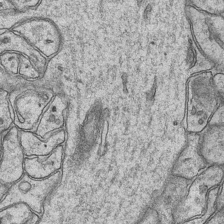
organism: Mouse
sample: CA1 Hippocampus